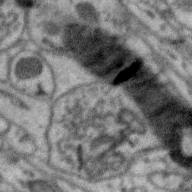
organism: Zebra finch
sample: Brain